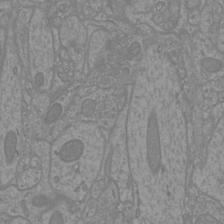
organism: Mouse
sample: Cortical neurons